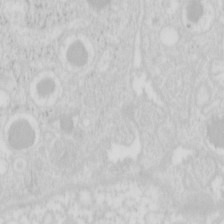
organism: Mouse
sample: Pancreas